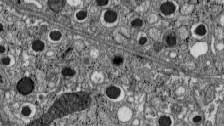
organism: C57BL Mouse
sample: Pancreatic islet